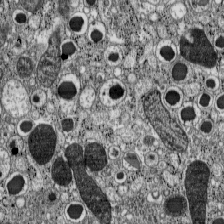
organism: C57BL Mouse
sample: Pancreatic islet